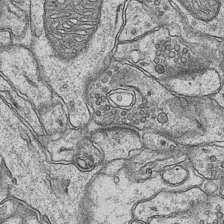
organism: Mouse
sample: CA1 Hippocampus